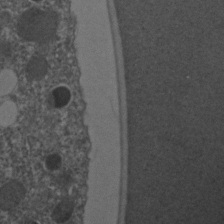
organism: C. elegans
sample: C. elegans embryo